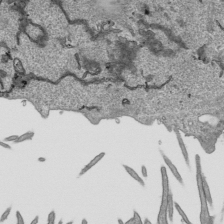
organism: Human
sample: Mitochondria in HCT116 cells